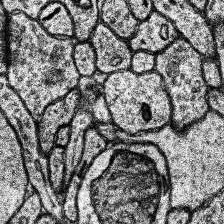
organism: Human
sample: Temporal Lobe